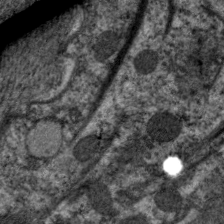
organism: C. elegans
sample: Pharynx